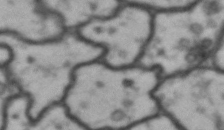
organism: Drosophila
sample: Brain